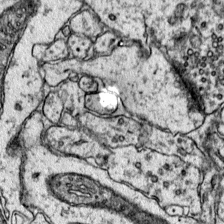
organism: Mouse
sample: Primary visual cortex